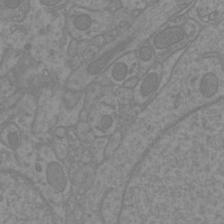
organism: Mouse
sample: Cortical neurons